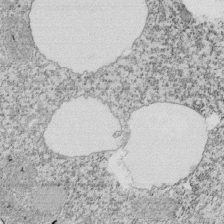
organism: Tetrahymena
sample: Cilia in tetrahymena